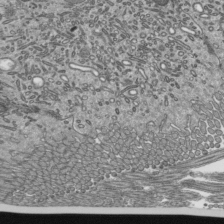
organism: Mouse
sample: Mouse epididymis efferent ductule cilia